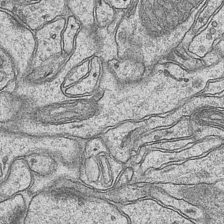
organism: Mouse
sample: CA1 Hippocampus